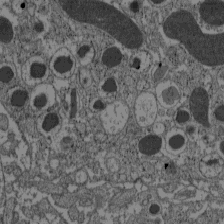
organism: C57BL Mouse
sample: Pancreatic islet